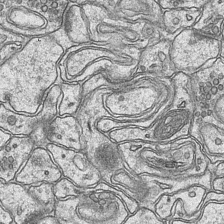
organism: Mouse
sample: CA1 Hippocampus